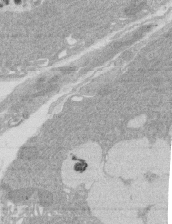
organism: Rat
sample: Salivary granule